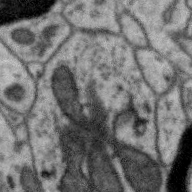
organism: Zebra finch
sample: Brain